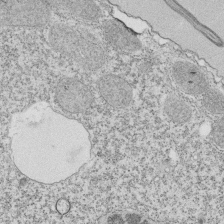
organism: Tetrahymena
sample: Cilia in tetrahymena